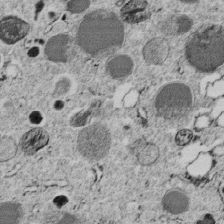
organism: C. elegans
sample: C. elegans embryo early stage